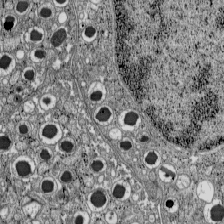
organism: C57BL Mouse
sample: Pancreatic islet